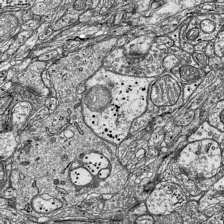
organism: Mouse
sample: Visual Cortex